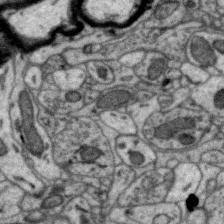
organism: Zebra finch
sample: Brain